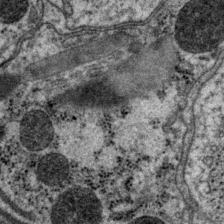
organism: P. pacificus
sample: Pharynx